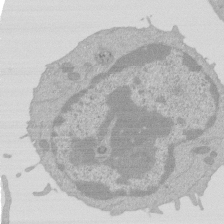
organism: Mouse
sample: Activated Pmel transgenic CD8+ T Cells